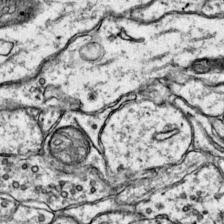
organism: Mouse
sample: Primary visual cortex